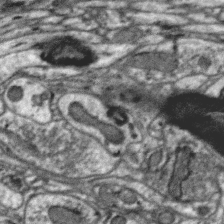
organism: Zebra finch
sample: Brain